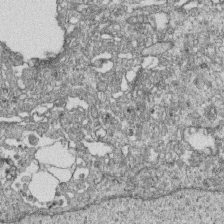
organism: Human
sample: HeLa cell HIV synapse